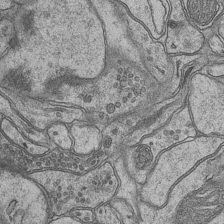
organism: Mouse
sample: CA1 Hippocampus